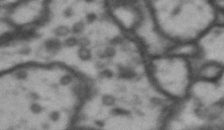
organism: Drosophila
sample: Brain